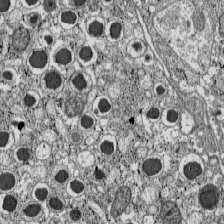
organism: C57BL Mouse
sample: Pancreatic islet